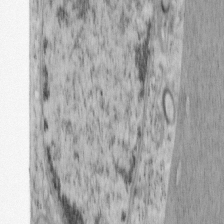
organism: Human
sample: HeLa cells